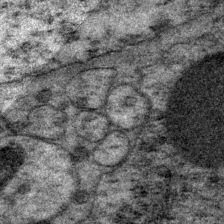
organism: P. pacificus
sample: Pharynx